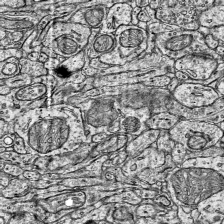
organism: Mouse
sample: Visual Cortex